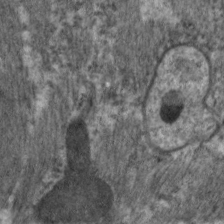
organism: C. elegans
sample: Pharynx